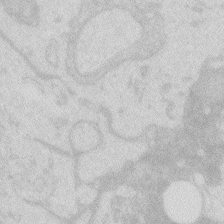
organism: Zebrafish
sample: Macrophage